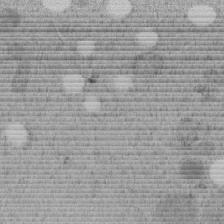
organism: C. elegans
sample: C. elegans embryo early stage